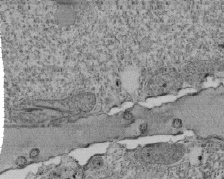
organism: Tetrahymena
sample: Cilia in tetrahymena